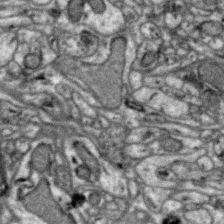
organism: Zebra finch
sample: Brain